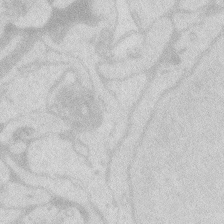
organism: Zebrafish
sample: Macrophage